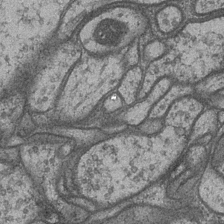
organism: Drosophila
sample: Optic medulla